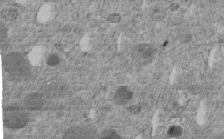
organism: C. elegans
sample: C. elegans embryo early stage